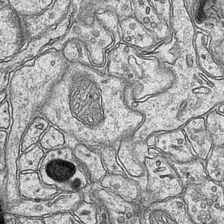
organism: Mouse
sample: CA1 Hippocampus